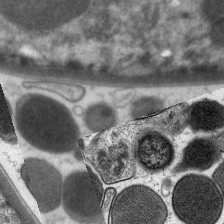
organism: C. elegans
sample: Pharynx